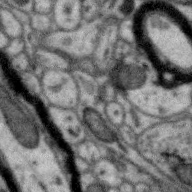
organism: Zebra finch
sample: Brain